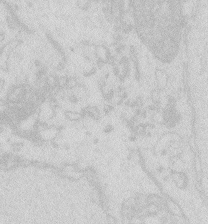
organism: Zebrafish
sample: Macrophage